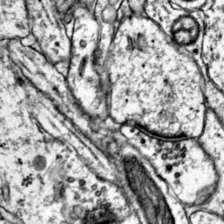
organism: Mouse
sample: Primary visual cortex